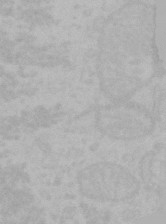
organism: Mouse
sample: Choroid plexus